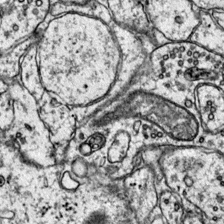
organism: Mouse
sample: Primary visual cortex